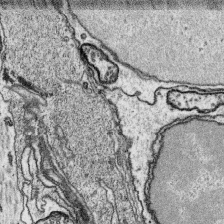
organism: Platynereis dumerilii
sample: Parapodia